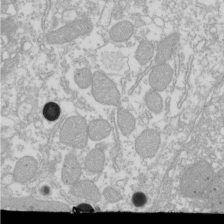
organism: Xenopus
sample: Cilia; centrioles in frog embryo cells